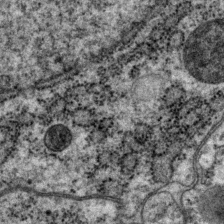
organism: P. pacificus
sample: Pharynx